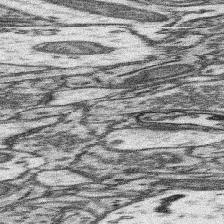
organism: Mouse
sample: Somatosensory cortex neuropil